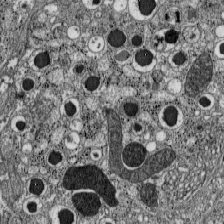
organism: C57BL Mouse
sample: Pancreatic islet